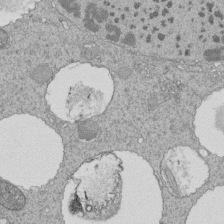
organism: Tetrahymena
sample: Cilia in tetrahymena